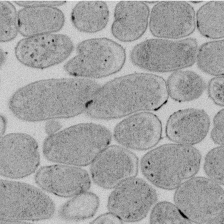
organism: E. coli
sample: Bacterial nucleoid